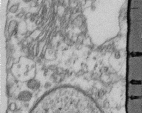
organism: Human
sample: Centriole in fibroblast cells